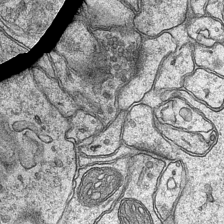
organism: Mouse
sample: CA1 Hippocampus